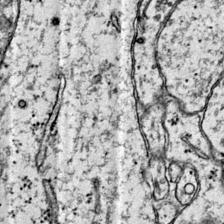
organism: Mouse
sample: Primary visual cortex